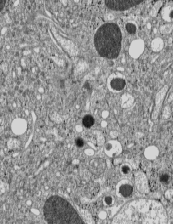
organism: C57BL Mouse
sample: Pancreatic islet